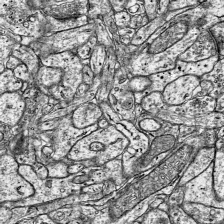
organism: Mouse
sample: Visual Cortex